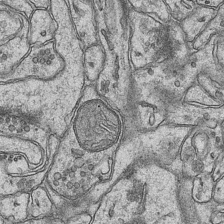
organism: Mouse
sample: CA1 Hippocampus